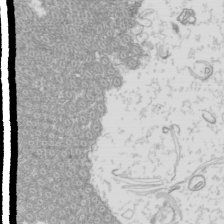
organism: Mouse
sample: Cilia; mouse epididymis